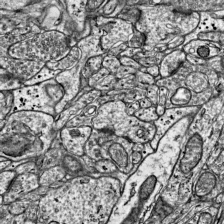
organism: Mouse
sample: Visual Cortex